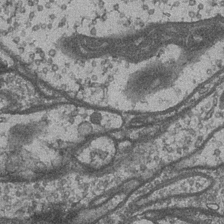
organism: Drosophila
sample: Optic medulla